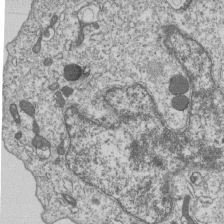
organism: Human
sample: MDA-MB-231 cells